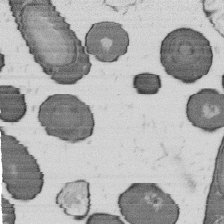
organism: B. subtilis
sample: Bacterial spore